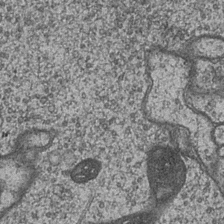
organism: Drosophila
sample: Optic medulla